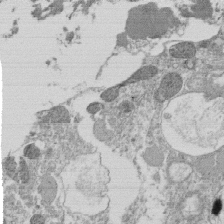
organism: Tetrahymena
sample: Cilia in tetrahymena